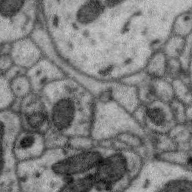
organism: Zebra finch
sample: Brain